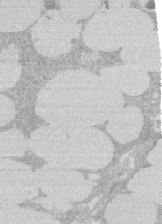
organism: Rat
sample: Salivary granule